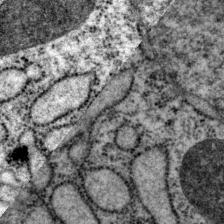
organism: P. pacificus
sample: Pharynx